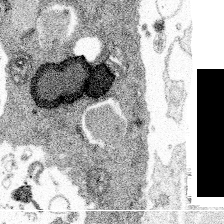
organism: Spongilla lacustris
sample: Multiple